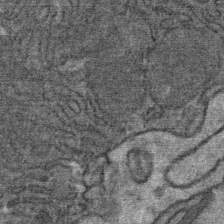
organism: Mouse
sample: Mouse Salivary gland